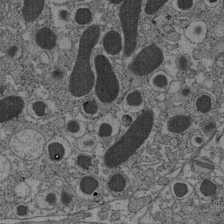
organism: C57BL Mouse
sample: Pancreatic islet